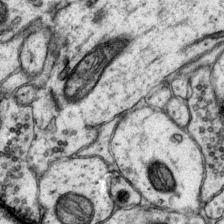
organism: Mouse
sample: Primary visual cortex